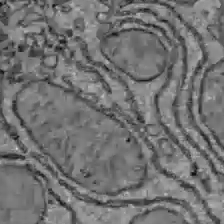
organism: C57BL Mouse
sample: Liver